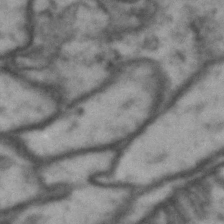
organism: Drosophila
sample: Brain